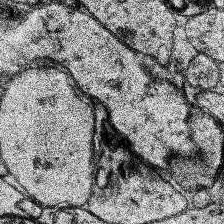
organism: Human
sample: Temporal Lobe